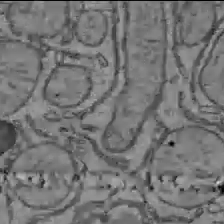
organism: C57BL Mouse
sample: Liver